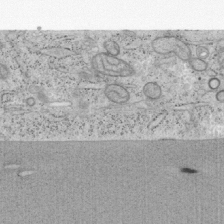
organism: Human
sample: HeLa cells